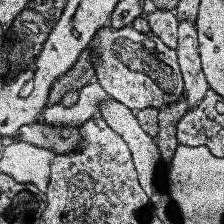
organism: Human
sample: Temporal Lobe